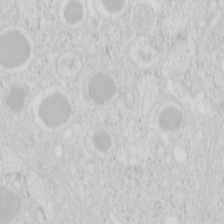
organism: Mouse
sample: Pancreas